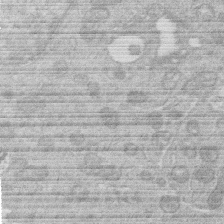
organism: Human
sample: Macrophage cells